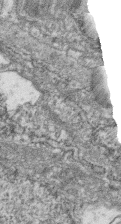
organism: Zebrafish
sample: Cilia; retinal pigment epithelium